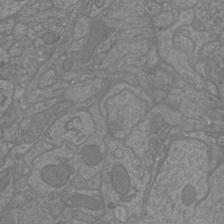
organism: Mouse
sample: Cortical neurons